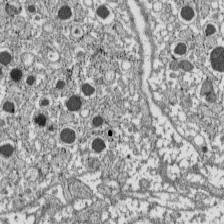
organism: C57BL Mouse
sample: Pancreatic islet